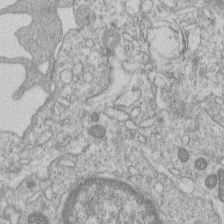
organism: Human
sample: Macrophage cells